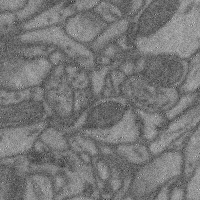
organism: Mouse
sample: Cerebral cortex